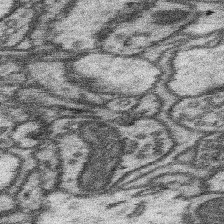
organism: Mouse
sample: Somatosensory cortex neuropil